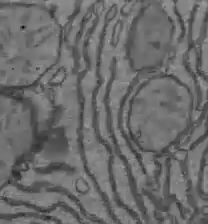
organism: C57BL Mouse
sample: Liver